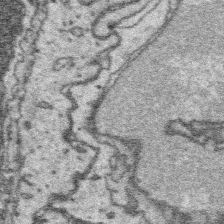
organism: Platynereis dumerilii